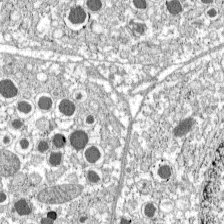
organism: C57BL Mouse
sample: Pancreatic islet